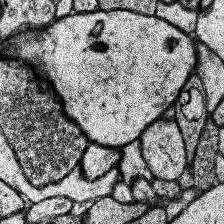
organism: Human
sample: Temporal Lobe